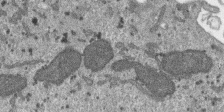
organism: Human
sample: Lung epithelial cells infected with SARS-CoV-2